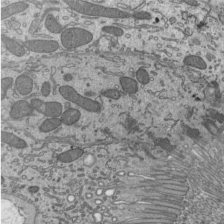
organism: Mouse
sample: Mouse epididymis efferent ductule cilia